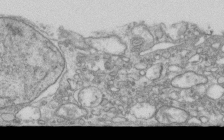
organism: Human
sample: Centriole in RPE cells